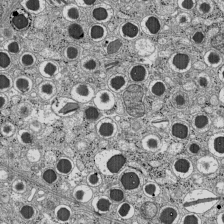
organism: C57BL Mouse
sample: Pancreatic islet